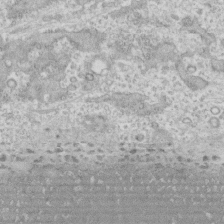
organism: Human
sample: CRL-1474